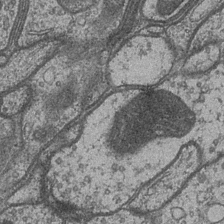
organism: Drosophila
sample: Optic medulla